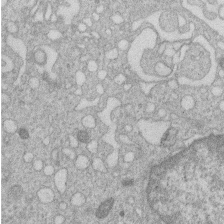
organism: Human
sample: Macrophage cells